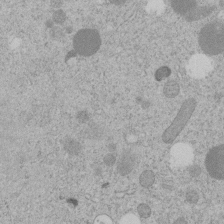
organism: C. elegans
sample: C. elegans embryo early stage